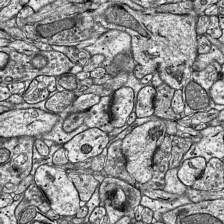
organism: Mouse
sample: Visual Cortex